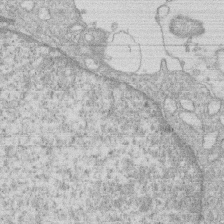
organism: Human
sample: Macrophage cells